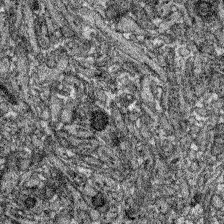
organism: Zebrafish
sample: Larval olfactory bulb